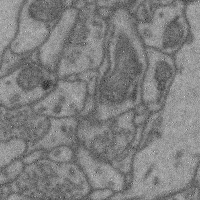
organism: Mouse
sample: Cerebral cortex